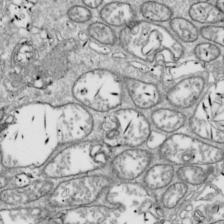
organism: Drosophila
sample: Cell division; meiosis; drosophila spermatocytes